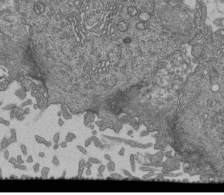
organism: Human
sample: Retinal organoid Rod and Cone cells